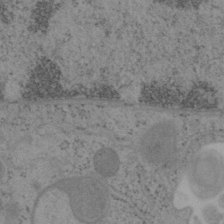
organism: Mouse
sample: OT-I killer T cells with ID8 ovarian cancer cells